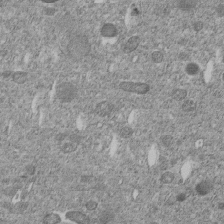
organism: C. elegans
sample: C. elegans embryo early stage